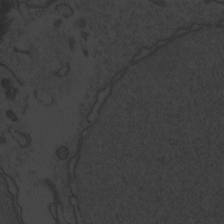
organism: Zebrafish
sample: Macrophage infected with Toxoplasma gondii